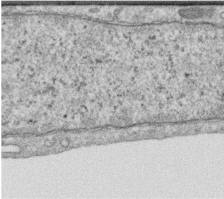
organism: Human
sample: Centriole in RPE cells